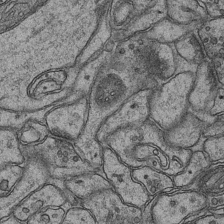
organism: Mouse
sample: CA1 Hippocampus